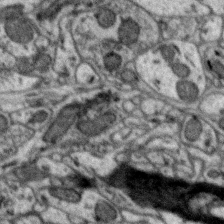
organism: Zebra finch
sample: Brain